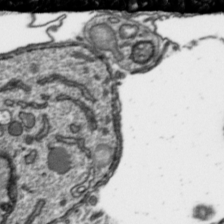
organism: Toxoplasma gondii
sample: Parasites in a vacuole inside a host cell